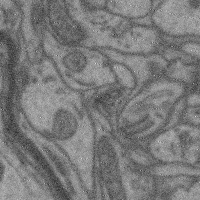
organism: Mouse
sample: Cerebral cortex